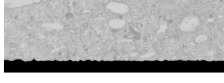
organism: Human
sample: Caco-2 cells